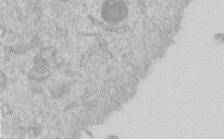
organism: Human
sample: Centriole in RPE cells